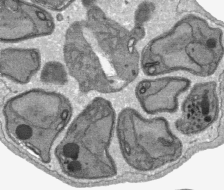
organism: Plasmodium falciparum